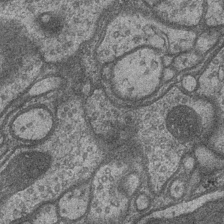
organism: Drosophila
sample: Optic medulla